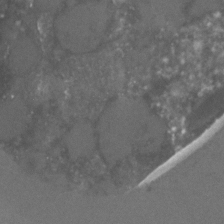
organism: C. elegans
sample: C. elegans embryo